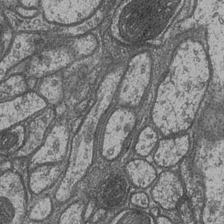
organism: Drosophila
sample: Optic medulla